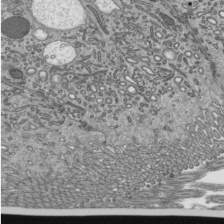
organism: Mouse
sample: Mouse epididymis efferent ductule cilia